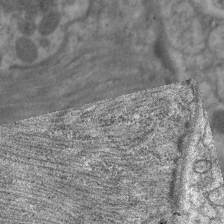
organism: C. elegans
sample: Pharynx